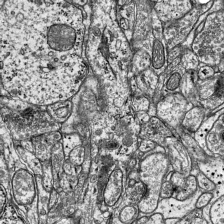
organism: Mouse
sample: Visual Cortex